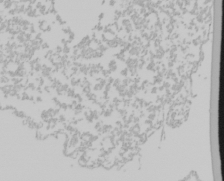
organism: Mouse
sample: Cancer cell death in ED-1 cells